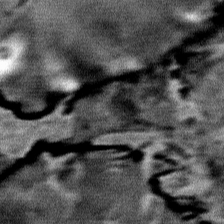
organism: Mouse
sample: Mouse Salivary gland